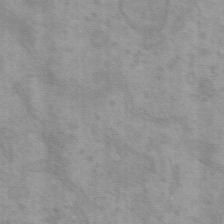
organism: Mouse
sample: Choroid plexus